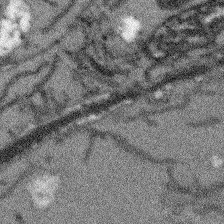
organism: Arabidopsis thaliana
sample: Root tip